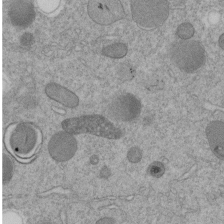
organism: C. elegans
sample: C. elegans embryo early stage